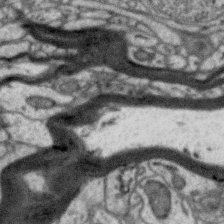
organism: Zebra finch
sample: Brain